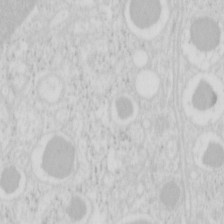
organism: Mouse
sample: Pancreas